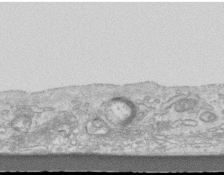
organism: Mouse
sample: Centriole in ependymal cells